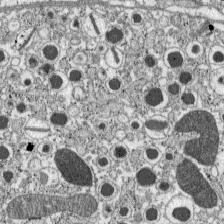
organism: C57BL Mouse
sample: Pancreatic islet